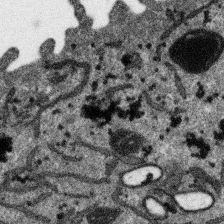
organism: Human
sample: Lung epithelial cells infected with SARS-CoV-2